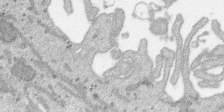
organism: Human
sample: Lung epithelial cells infected with SARS-CoV-2